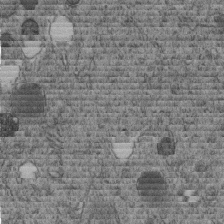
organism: C. elegans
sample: C. elegans embryo early stage